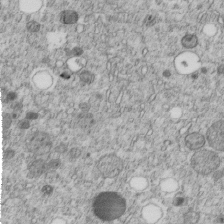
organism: C. elegans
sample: C. elegans embryo early stage